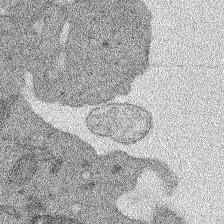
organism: Human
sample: HeLa cells